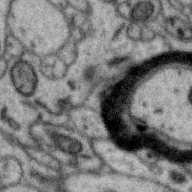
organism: Zebra finch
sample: Brain